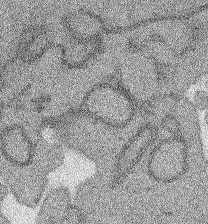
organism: Human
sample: HeLa cells